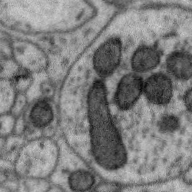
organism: Zebra finch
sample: Brain